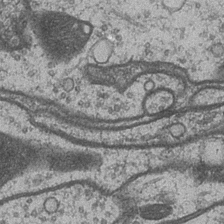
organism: Drosophila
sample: Optic medulla